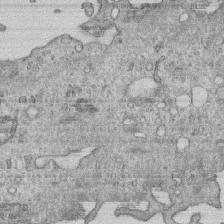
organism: Human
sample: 1205lu cells